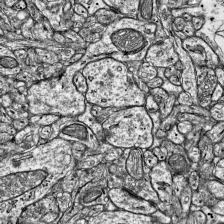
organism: Mouse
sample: Visual Cortex